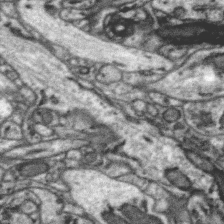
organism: Zebra finch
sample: Brain